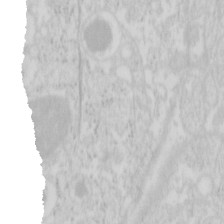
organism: Mouse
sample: Pancreas